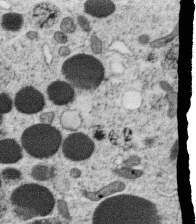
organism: C. elegans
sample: C. elegans oocyte; sperm cells